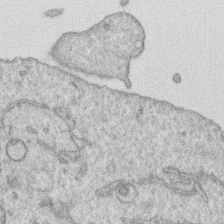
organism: Human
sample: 1205lu cells